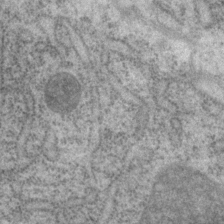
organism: P. pacificus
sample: Pharynx